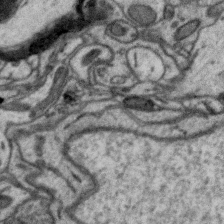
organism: Zebra finch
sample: Brain